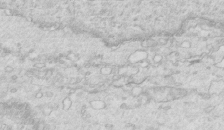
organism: Mouse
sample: Multiciliated cells